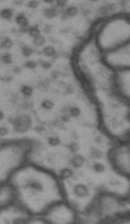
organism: Drosophila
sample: Brain